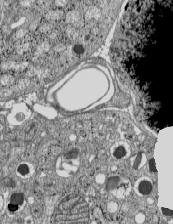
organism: C57BL Mouse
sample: Pancreatic islet